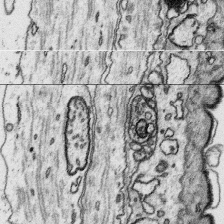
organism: Platynereis dumerilii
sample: Parapodia